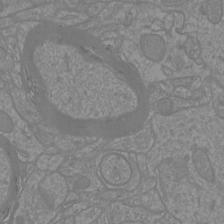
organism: Mouse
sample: Cortical neurons